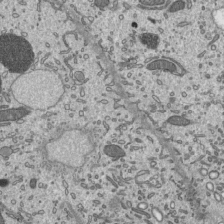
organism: Mouse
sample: Mouse epididymis efferent ductule cilia